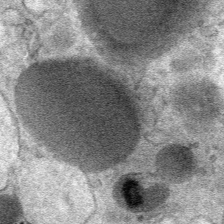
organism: Mouse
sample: Mouse Salivary gland